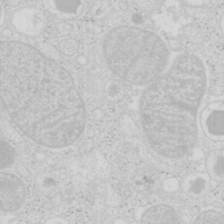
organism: Mouse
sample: Pancreas